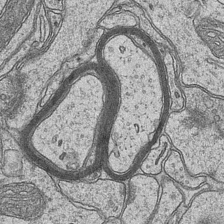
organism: Mouse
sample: CA1 Hippocampus